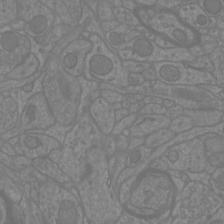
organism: Mouse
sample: Cortical neurons